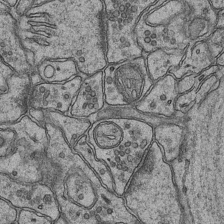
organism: Mouse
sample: CA1 Hippocampus